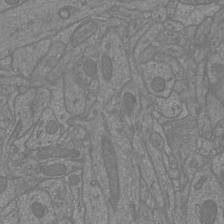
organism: Mouse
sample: Cortical neurons